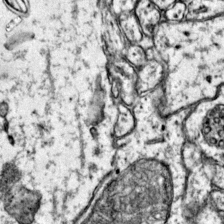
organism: Mouse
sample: Primary visual cortex